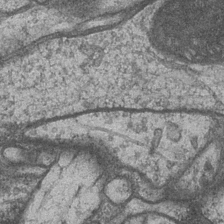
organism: Drosophila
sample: Optic medulla